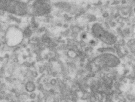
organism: Human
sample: Centriole in RPE cells